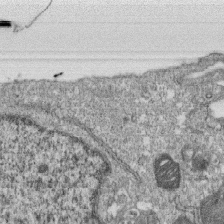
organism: African green monkey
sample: Vero E6 cells infected with SARS-CoV-2